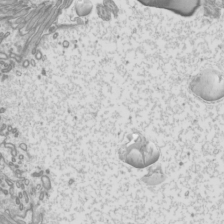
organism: Mouse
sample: Cilia; mouse epididymis